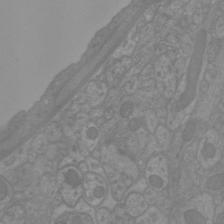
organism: Mouse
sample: Cortical neurons